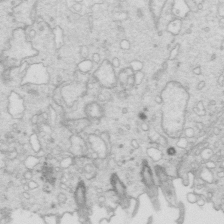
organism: Mouse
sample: Multiciliated cells